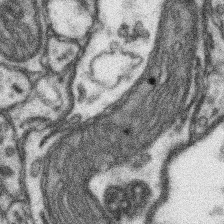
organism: Mouse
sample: Somatosensory cortex neuropil